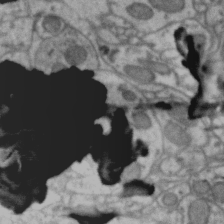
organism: Zebra finch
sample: Brain